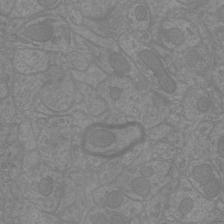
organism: Mouse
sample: Cortical neurons